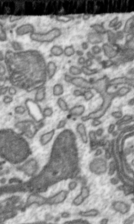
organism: Toxoplasma gondii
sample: Parasites in a vacuole inside a host cell